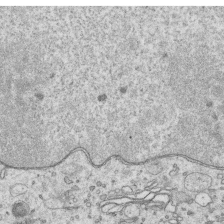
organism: Human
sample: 1205lu cells